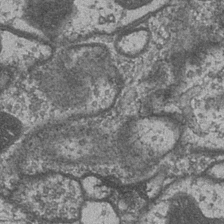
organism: Drosophila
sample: Optic medulla